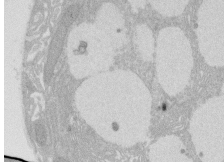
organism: Rat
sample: Salivary granule